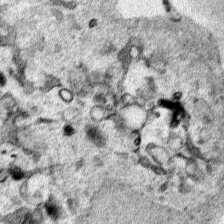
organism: Human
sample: Mitochondria in HCT116 cells